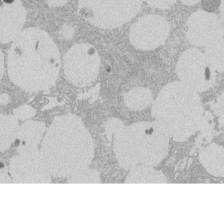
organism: Rat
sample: Salivary granule